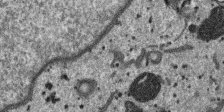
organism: Human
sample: Lung epithelial cells infected with SARS-CoV-2